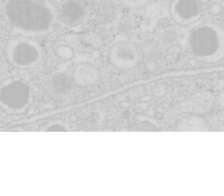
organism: Mouse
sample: Pancreas